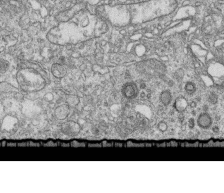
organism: Human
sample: HeLa cell HIV synapse